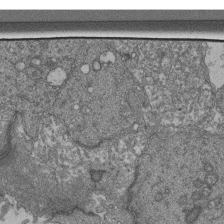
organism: Human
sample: Retinal organoid Rod and Cone cells